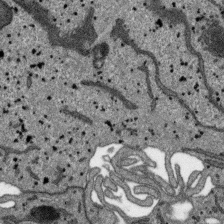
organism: Human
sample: Lung epithelial cells, uninfected (mock) control